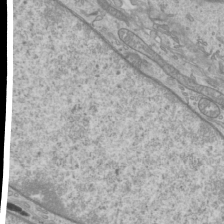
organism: Mouse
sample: Cilia; mouse epididymis